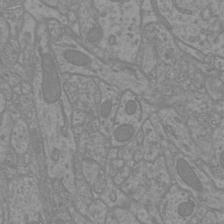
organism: Mouse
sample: Cortical neurons